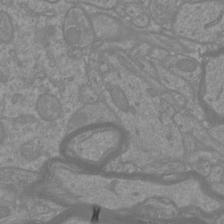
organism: Mouse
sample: Cortical neurons